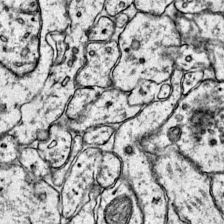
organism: Mouse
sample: Primary visual cortex